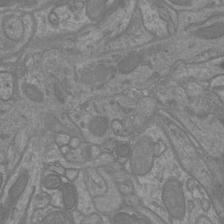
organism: Mouse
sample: Cortical neurons